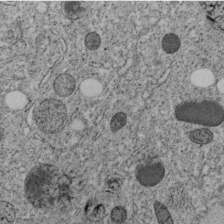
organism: C. elegans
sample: C. elegans embryo early stage